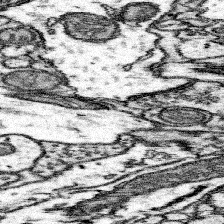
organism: Mouse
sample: Somatosensory cortex neuropil